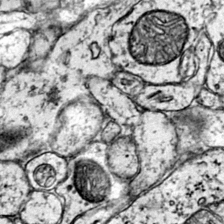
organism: Mouse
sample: Primary visual cortex